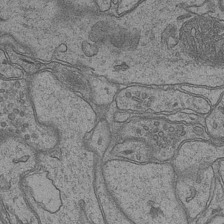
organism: Mouse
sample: CA1 Hippocampus